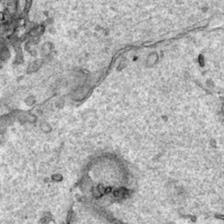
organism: Human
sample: Mitochondria in HCT116 cells